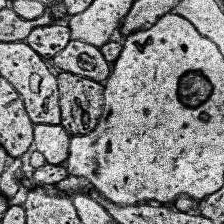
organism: Human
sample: Temporal Lobe